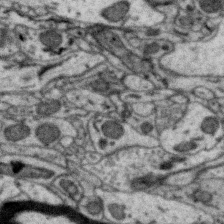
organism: Zebra finch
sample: Brain